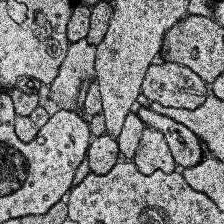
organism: Human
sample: Temporal Lobe